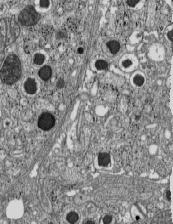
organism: C57BL Mouse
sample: Pancreatic islet